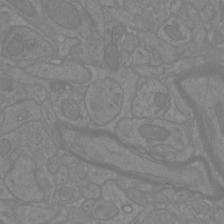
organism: Mouse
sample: Cortical neurons